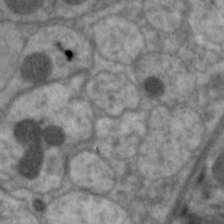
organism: C. elegans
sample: Pharynx